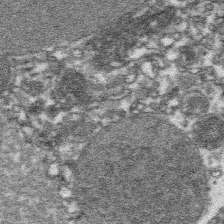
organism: Platynereis dumerilii